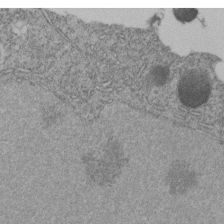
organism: C. elegans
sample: C. elegans embryo early stage